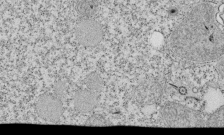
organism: Tetrahymena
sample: Cilia in tetrahymena